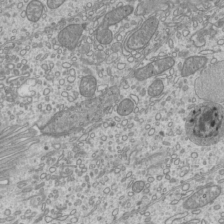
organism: Mouse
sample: Cilia; mouse epididymis